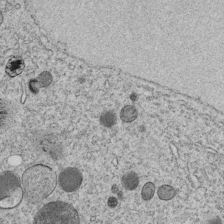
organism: C. elegans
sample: C. elegans embryo early stage